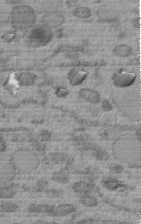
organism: C. elegans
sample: C. elegans embryo early stage